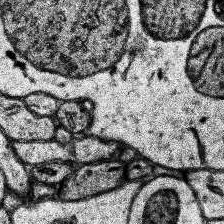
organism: Human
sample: Temporal Lobe